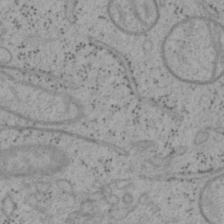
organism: Human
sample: HeLa cells